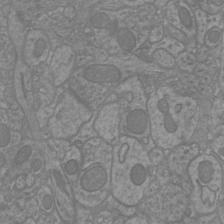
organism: Mouse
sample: Cortical neurons